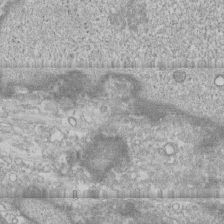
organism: Human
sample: CRL-1474